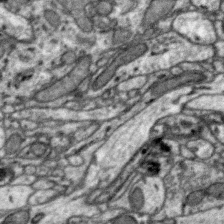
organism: Zebra finch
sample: Brain